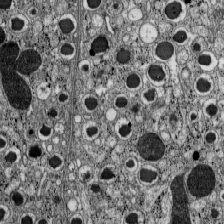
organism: C57BL Mouse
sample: Pancreatic islet